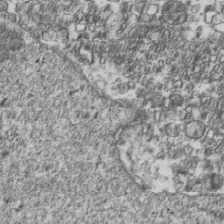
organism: Human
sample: Activated Jurkat CD4+ T cells